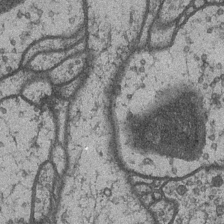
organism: Drosophila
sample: Optic medulla